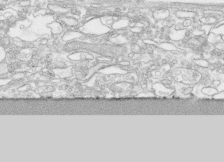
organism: Human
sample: CRL-1474